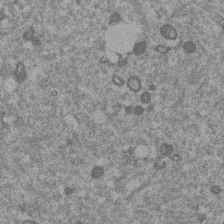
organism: Mouse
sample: Dividing mouse embryo 1 cell stage